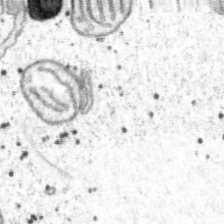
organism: Human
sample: HeLa cells